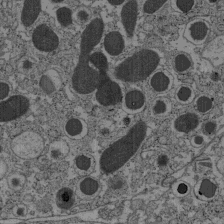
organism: C57BL Mouse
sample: Pancreatic islet